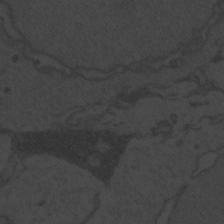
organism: Zebrafish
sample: Macrophage infected with Toxoplasma gondii